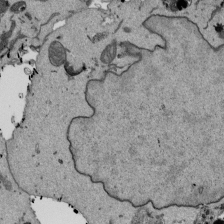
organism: Mouse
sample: ED-1 cell nuclei; centrioles